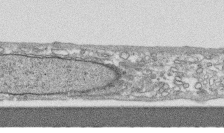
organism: Human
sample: CRL-1474